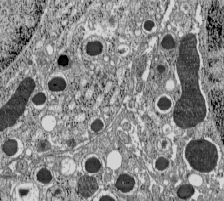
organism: C57BL Mouse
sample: Pancreatic islet